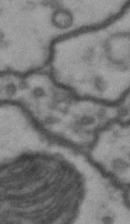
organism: Drosophila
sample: Brain